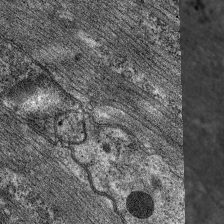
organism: C. elegans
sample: Pharynx